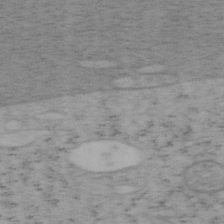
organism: Mouse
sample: OT-I killer T cells with ID8 ovarian cancer cells